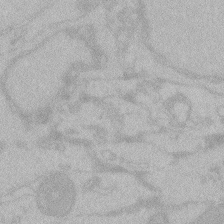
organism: Zebrafish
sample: Macrophage infected with Toxoplasma gondii